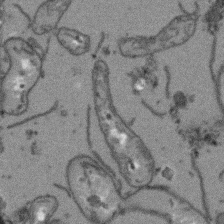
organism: Arabidopsis thaliana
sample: Root tip